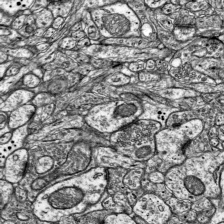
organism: Mouse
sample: Visual Cortex